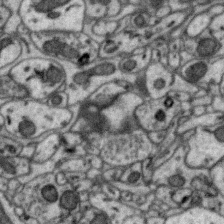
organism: Zebra finch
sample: Brain